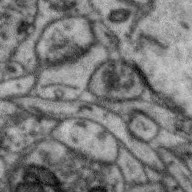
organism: Zebra finch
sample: Brain